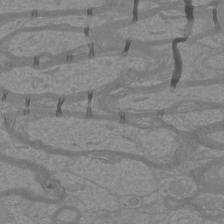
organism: Mouse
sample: Cortical neurons